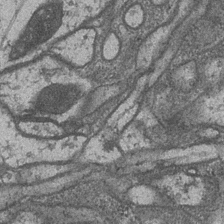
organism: Drosophila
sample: Optic medulla